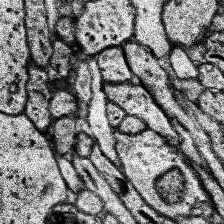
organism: Human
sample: Temporal Lobe